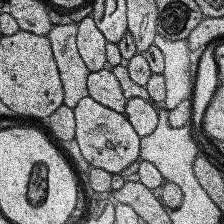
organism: Human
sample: Temporal Lobe